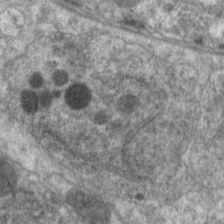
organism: C. elegans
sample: Pharynx